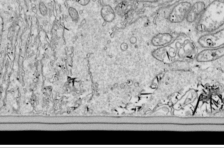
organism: Drosophila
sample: Cell division; meiosis; drosophila spermatocytes